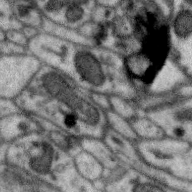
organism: Zebra finch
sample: Brain